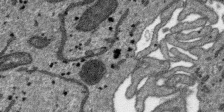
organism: Human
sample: Lung epithelial cells, uninfected (mock) control